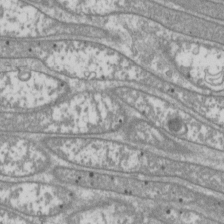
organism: Drosophila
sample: Cell division; meiosis; drosophila spermatocytes